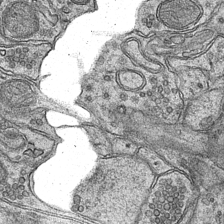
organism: Mouse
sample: CA1 Hippocampus